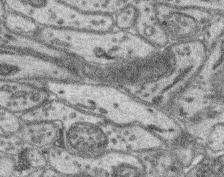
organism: Mouse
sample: Retina